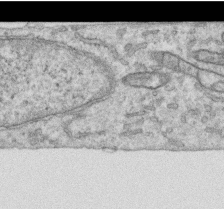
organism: Human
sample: Centriole in RPE cells